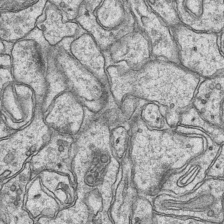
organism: Mouse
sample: CA1 Hippocampus